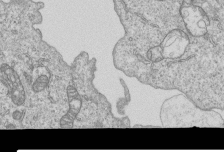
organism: Human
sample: MDA-MB-231 cells